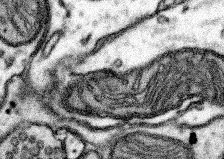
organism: Mouse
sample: Somatosensory cortex neuropil